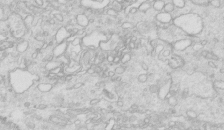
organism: Mouse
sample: Multiciliated cells